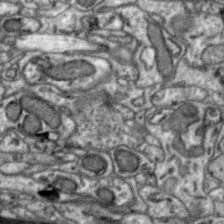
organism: Zebra finch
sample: Brain